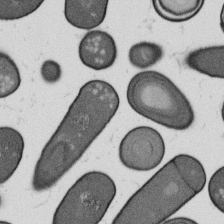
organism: B. subtilis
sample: Bacterial spore